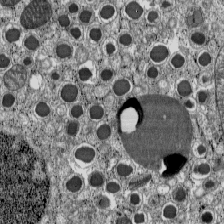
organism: C57BL Mouse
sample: Pancreatic islet